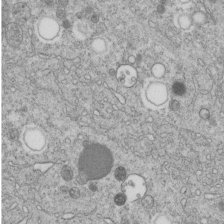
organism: C. elegans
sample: C. elegans embryo early stage